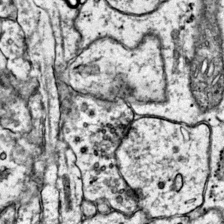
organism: Mouse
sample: Primary visual cortex